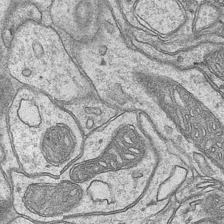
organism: Mouse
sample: CA1 Hippocampus